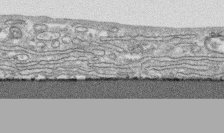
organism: Human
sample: CRL-1474